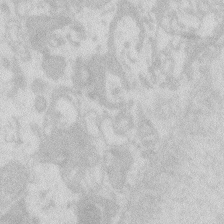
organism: Zebrafish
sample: Macrophage